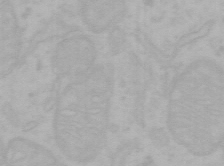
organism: Mouse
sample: Choroid plexus